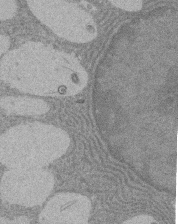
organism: Rat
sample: Salivary granule